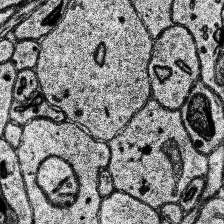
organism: Human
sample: Temporal Lobe